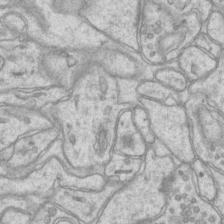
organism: Mouse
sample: CA1 Hippocampus